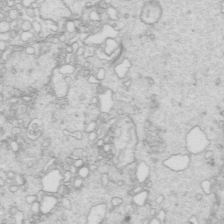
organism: Mouse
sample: Multiciliated cells